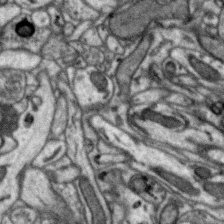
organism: Zebra finch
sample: Brain